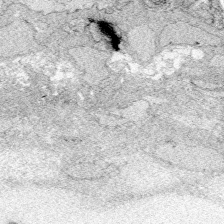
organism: Zebrafish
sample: Whole-Brain